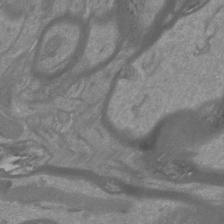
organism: Mouse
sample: Cortical neurons